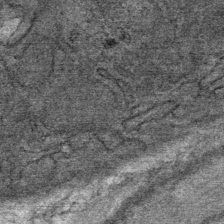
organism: Mouse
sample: Mouse Salivary gland